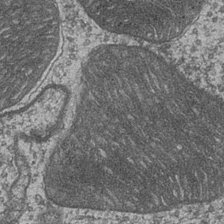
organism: Drosophila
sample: Optic medulla